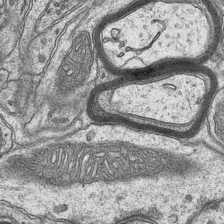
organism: Mouse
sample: CA1 Hippocampus